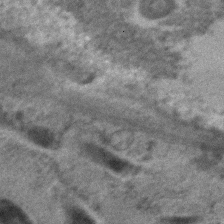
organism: C. elegans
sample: C. elegans embryo